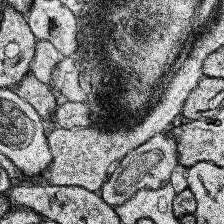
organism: Human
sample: Temporal Lobe